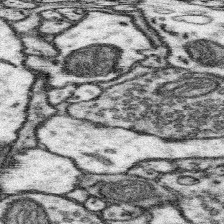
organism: Mouse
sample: Somatosensory cortex neuropil